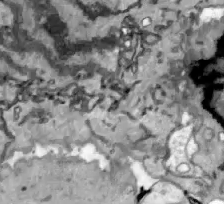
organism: Zebrafish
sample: Actinotrichia fibers